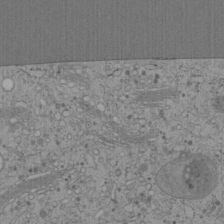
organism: African green monkey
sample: COS-7 cells